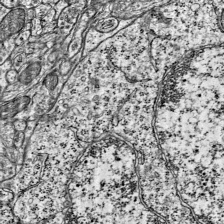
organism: Mouse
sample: Visual Cortex